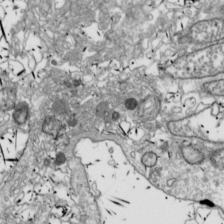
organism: Drosophila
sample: Cell division; meiosis; drosophila spermatocytes